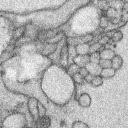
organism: Rabbit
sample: Retina